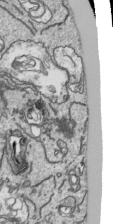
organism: Human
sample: Mitochondria in HCT116 cells